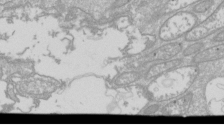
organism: Drosophila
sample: Cell division; meiosis; drosophila spermatocytes